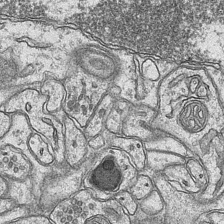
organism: Mouse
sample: CA1 Hippocampus